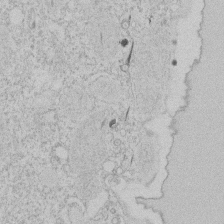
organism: Tetrahymena